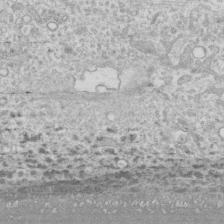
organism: Human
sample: CRL-1474